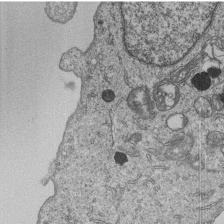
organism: Human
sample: MDA-MB-231 cells